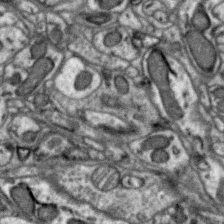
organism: Zebra finch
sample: Brain